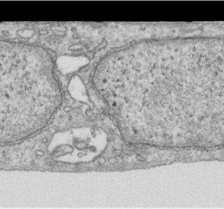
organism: Human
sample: Centriole in RPE cells